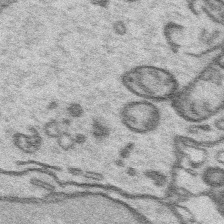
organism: Platynereis dumerilii